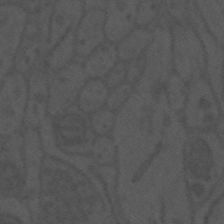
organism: Mouse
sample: Suprachiasmatic nucleus